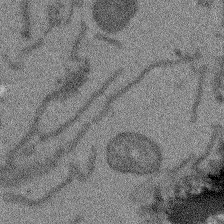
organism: Arabidopsis thaliana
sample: Root tip